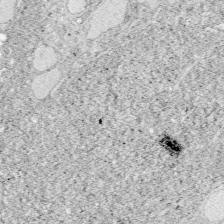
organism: Zebrafish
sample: Whole-Brain